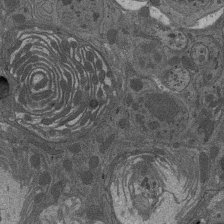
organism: Drosophila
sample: Antenna